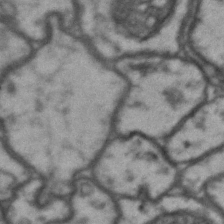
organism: Drosophila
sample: Brain